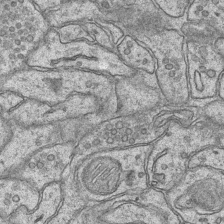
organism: Mouse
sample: CA1 Hippocampus